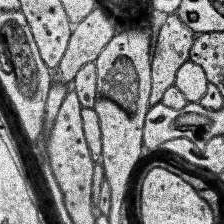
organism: Human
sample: Temporal Lobe